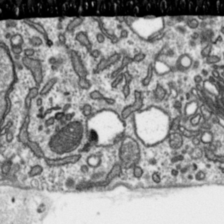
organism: Toxoplasma gondii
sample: Parasites in a vacuole inside a host cell